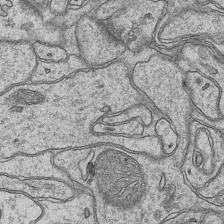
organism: Mouse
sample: CA1 Hippocampus